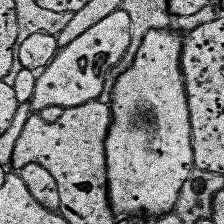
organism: Human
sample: Temporal Lobe